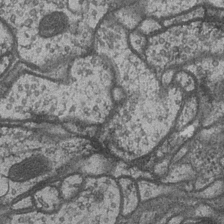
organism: Drosophila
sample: Optic medulla